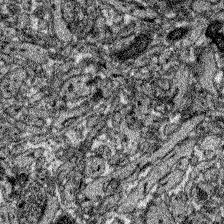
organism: Zebrafish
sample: Larval olfactory bulb